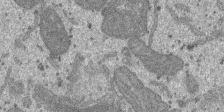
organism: Human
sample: Lung epithelial cells infected with SARS-CoV-2